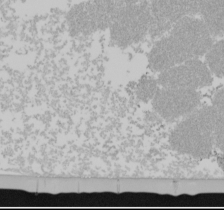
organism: Mouse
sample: Cancer cell death in ED-1 cells